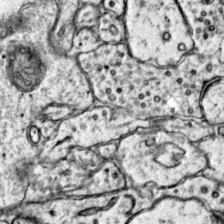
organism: Mouse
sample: Primary visual cortex